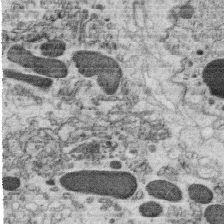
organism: C. elegans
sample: C. elegans oocyte; sperm cells